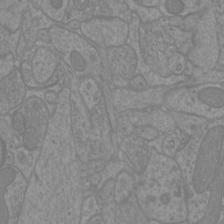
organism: Mouse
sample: Cortical neurons